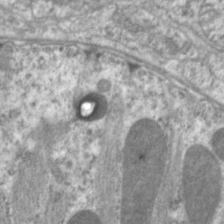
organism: C. elegans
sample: Pharynx